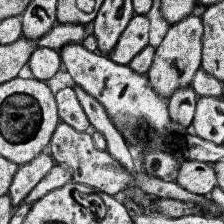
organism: Human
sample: Temporal Lobe